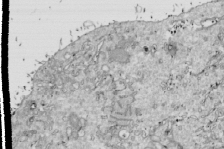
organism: Drosophila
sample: Cell division; meiosis; drosophila spermatocytes